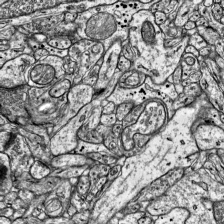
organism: Mouse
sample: Visual Cortex